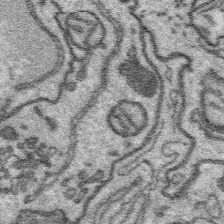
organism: Platynereis dumerilii